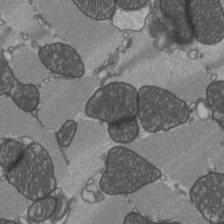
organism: C57BL Mouse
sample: Heart